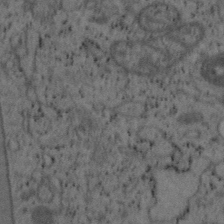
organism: Human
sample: HeLa cells